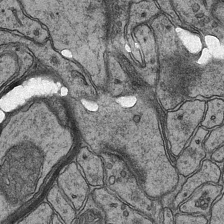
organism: Mouse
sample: CA1 Hippocampus